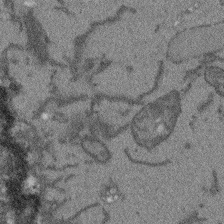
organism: Arabidopsis thaliana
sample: Root tip